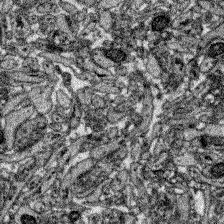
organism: Zebrafish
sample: Larval olfactory bulb